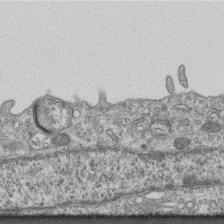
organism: Mouse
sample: Centriole in ependymal cells